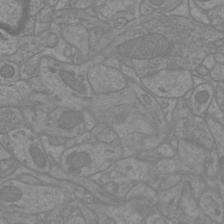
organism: Mouse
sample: Cortical neurons